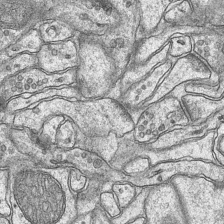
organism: Mouse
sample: CA1 Hippocampus